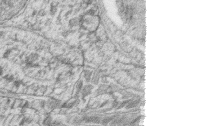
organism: Zebrafish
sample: synaptic ribbons in rod cells and cone cells